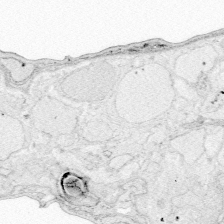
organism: Zebrafish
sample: Whole-Brain